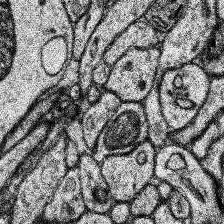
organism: Human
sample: Temporal Lobe